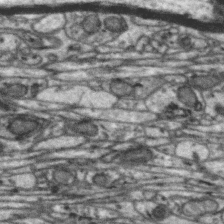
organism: Zebra finch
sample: Brain